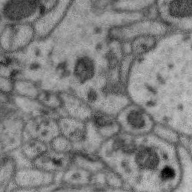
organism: Zebra finch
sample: Brain